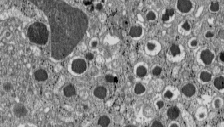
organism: C57BL Mouse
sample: Pancreatic islet